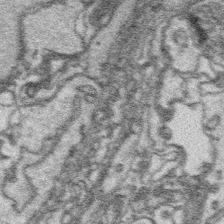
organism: Platynereis dumerilii